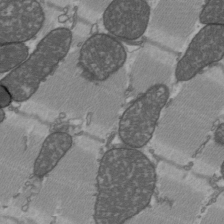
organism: C57BL Mouse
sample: Heart